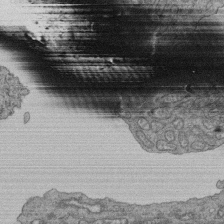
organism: Human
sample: Retinal organoid Rod and Cone cells